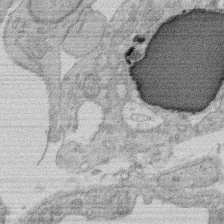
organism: Rat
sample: Salivary granule